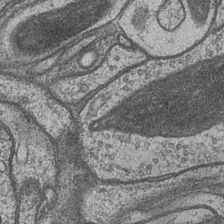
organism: Drosophila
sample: Optic medulla